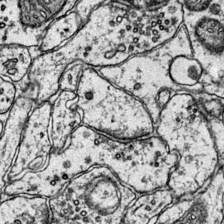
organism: Mouse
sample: Primary visual cortex